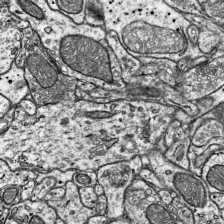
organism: Mouse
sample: Visual Cortex